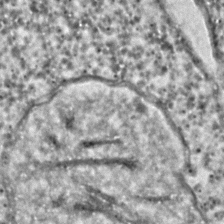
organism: C. elegans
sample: C. elegans embryo